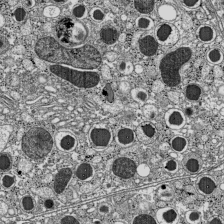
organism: C57BL Mouse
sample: Pancreatic islet